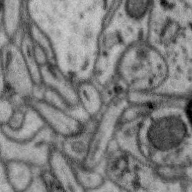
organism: Zebra finch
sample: Brain